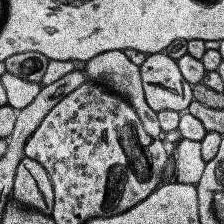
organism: Human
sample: Temporal Lobe